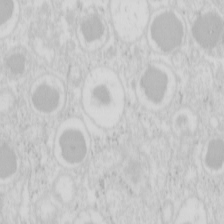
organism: Mouse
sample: Pancreas